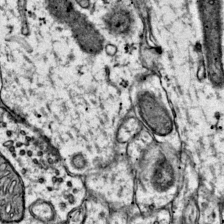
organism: Mouse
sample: Primary visual cortex